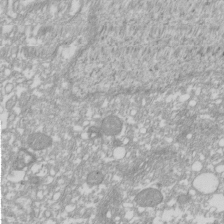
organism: Xenopus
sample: Cilia; centrioles in frog embryo cells